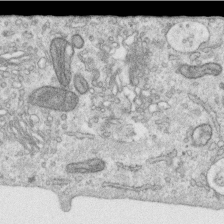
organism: Human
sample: Centriole in RPE cells